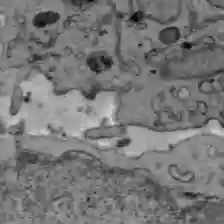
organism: C57BL Mouse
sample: Liver